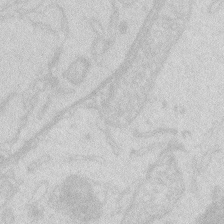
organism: Zebrafish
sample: Macrophage